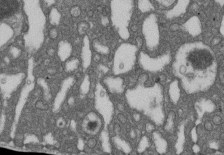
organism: Drosophila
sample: Nephrocyte